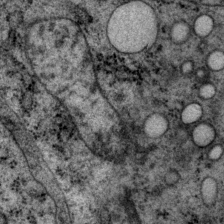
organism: P. pacificus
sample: Pharynx